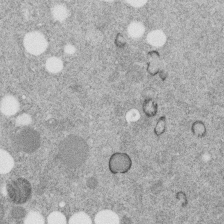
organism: C. elegans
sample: C. elegans embryo early stage